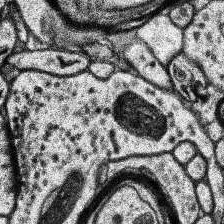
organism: Human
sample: Temporal Lobe